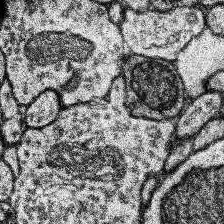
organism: Human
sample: Temporal Lobe